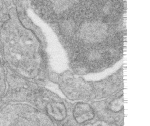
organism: Zebrafish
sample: synaptic ribbons in rod cells and cone cells